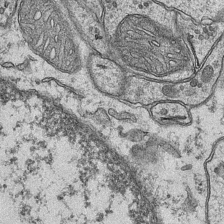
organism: Mouse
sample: CA1 Hippocampus